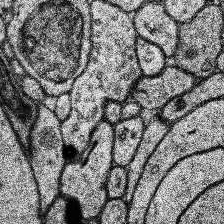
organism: Human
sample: Temporal Lobe